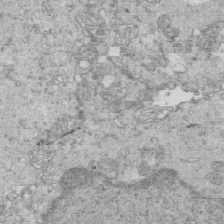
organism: Mouse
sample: Multiciliated cells